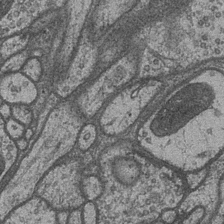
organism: Drosophila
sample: Optic medulla